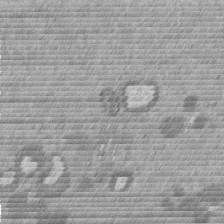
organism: Mouse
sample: Dividing mouse embryo 1 cell stage